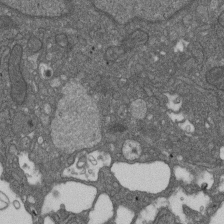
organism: Drosophila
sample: Nephrocyte